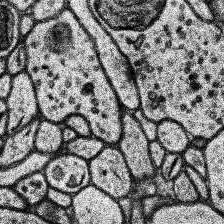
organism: Human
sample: Temporal Lobe